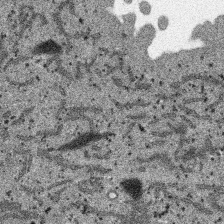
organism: Human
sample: Lung epithelial cells infected with SARS-CoV-2